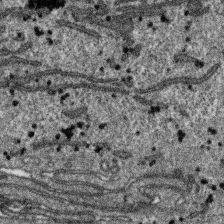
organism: Human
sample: Lung epithelial cells infected with SARS-CoV-2